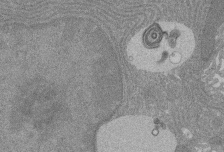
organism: Rat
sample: Salivary granule